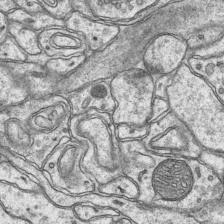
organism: Mouse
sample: CA1 Hippocampus